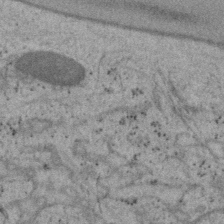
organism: Human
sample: HeLa cells